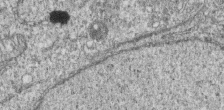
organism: Human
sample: HeLa cell HIV synapse